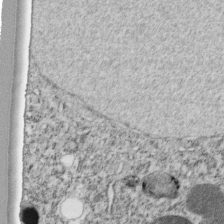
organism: C. elegans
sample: C. elegans embryo early stage